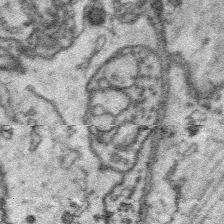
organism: Platynereis dumerilii